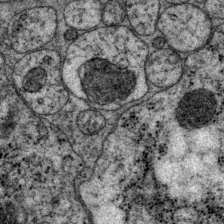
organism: P. pacificus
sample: Pharynx